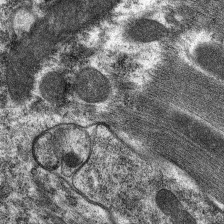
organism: C. elegans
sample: Pharynx